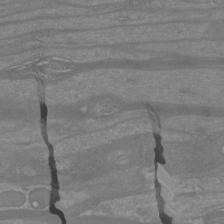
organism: Mouse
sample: Cortical neurons